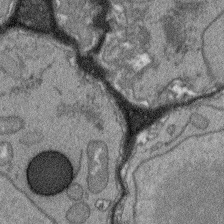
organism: Arabidopsis thaliana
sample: Root tip